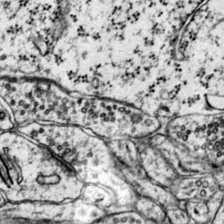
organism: Mouse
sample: Primary visual cortex